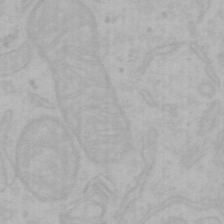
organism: Mouse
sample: Choroid plexus